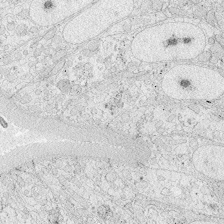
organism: Zebrafish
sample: Whole-Brain